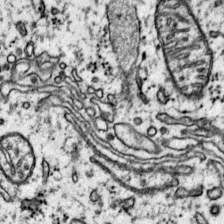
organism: Mouse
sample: Primary visual cortex